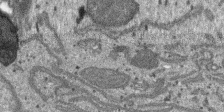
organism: Human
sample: Lung epithelial cells infected with SARS-CoV-2